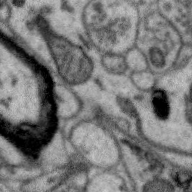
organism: Zebra finch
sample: Brain